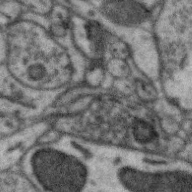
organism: Zebra finch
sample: Brain